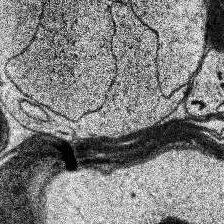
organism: Human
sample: Temporal Lobe